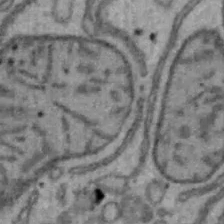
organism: Mouse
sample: Liver